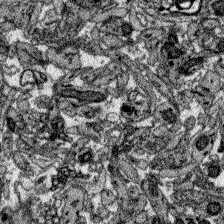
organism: Zebrafish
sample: Larval olfactory bulb